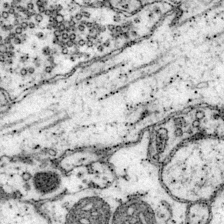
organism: Mouse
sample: Primary visual cortex